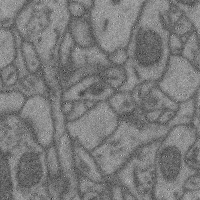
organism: Mouse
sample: Cerebral cortex